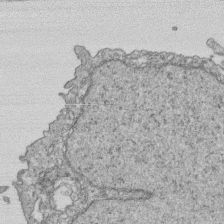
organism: Human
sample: HeLa cell HIV synapse